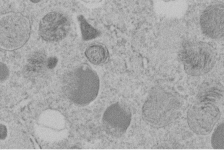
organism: C. elegans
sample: C. elegans embryo early stage